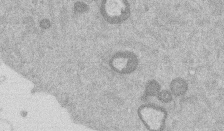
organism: Mouse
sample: Dividing mouse embryo 1 cell stage